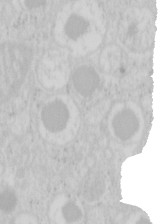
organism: Mouse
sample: Pancreas